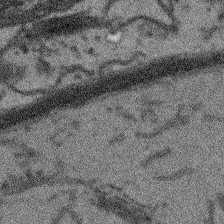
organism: Arabidopsis thaliana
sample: Root tip